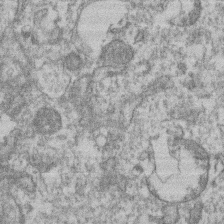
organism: Mouse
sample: T cell stromal cell synapse